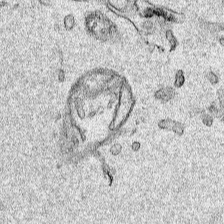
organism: Human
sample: Mitochondria in HCT116 cells